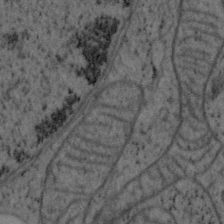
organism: Human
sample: HeLa cells